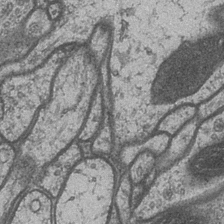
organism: Drosophila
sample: Optic medulla